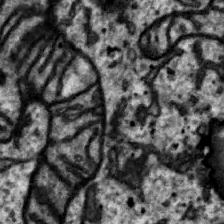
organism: Human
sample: HeLa cells